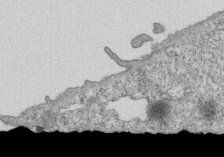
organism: Human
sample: HeLa cell HIV synapse